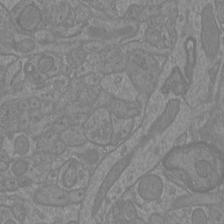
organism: Mouse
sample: Cortical neurons